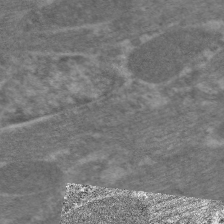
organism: C. elegans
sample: Pharynx